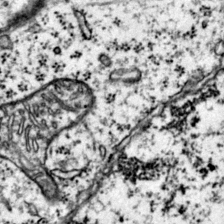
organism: Mouse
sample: Primary visual cortex